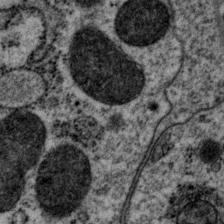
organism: P. pacificus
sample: Pharynx